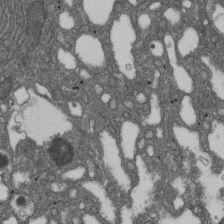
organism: Drosophila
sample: Nephrocyte